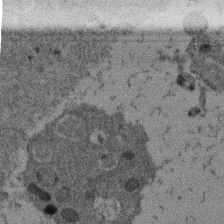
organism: Mouse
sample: Dividing mouse embryo 1 cell stage